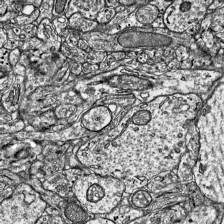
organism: Mouse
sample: Visual Cortex